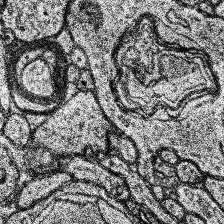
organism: Human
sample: Temporal Lobe